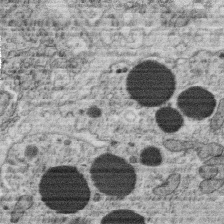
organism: C. elegans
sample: C. elegans oocyte; sperm cells